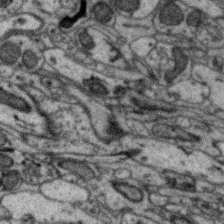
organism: Zebra finch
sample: Brain